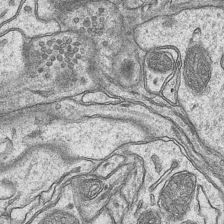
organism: Mouse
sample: CA1 Hippocampus